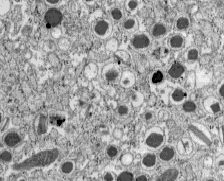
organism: C57BL Mouse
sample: Pancreatic islet